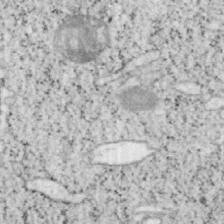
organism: Mouse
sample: OT-I killer T cells with ID8 ovarian cancer cells